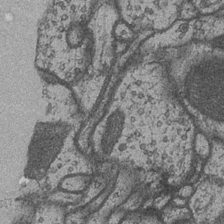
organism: Drosophila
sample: Optic medulla